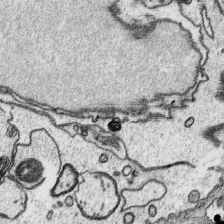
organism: Platynereis dumerilii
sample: Parapodia